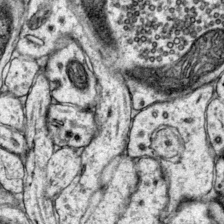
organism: Mouse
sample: Primary visual cortex